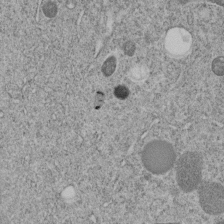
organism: C. elegans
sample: C. elegans embryo early stage